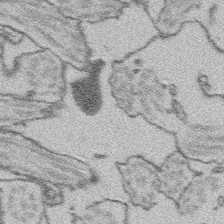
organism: Platynereis dumerilii